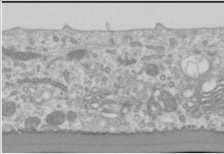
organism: Human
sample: Cilia; basal body in RPE cells